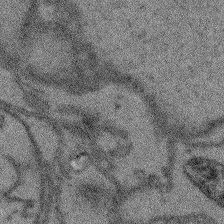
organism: Arabidopsis thaliana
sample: Root tip